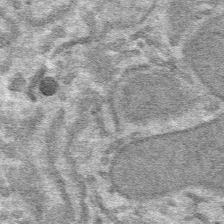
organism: Mouse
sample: Mouse hepatocytes